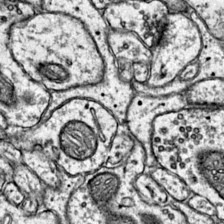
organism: Mouse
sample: Primary visual cortex